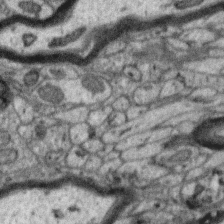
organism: Zebra finch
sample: Brain